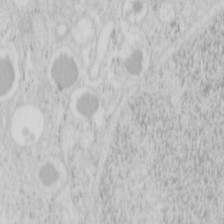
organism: Mouse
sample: Pancreas